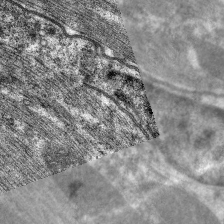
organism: C. elegans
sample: Pharynx